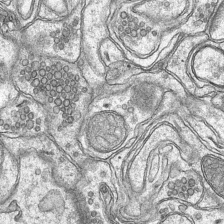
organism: Mouse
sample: CA1 Hippocampus